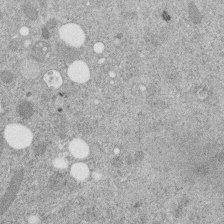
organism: C. elegans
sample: C. elegans embryo early stage